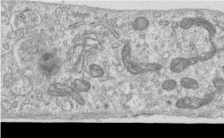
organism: Human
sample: Centriole in RPE cells